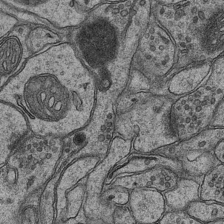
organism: Mouse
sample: CA1 Hippocampus